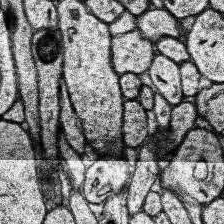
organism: Human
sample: Temporal Lobe